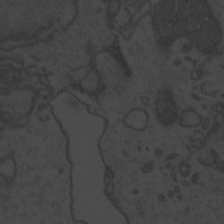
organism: Zebrafish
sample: Macrophage infected with Toxoplasma gondii